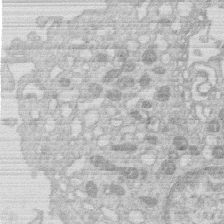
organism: Human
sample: Macrophage cells